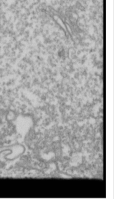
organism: Drosophila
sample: Cell division; meiosis; drosophila spermatocytes